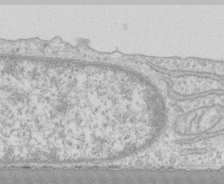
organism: Human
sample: CRL-1474